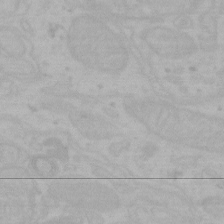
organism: Mouse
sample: Choroid plexus